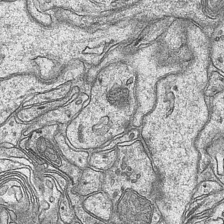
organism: Mouse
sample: CA1 Hippocampus